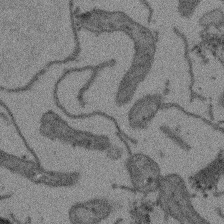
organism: Arabidopsis thaliana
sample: Root tip